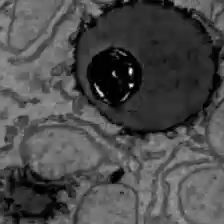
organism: C57BL Mouse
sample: Liver